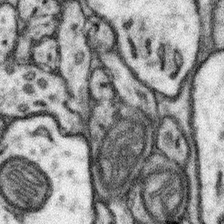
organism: Mouse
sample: Somatosensory cortex neuropil